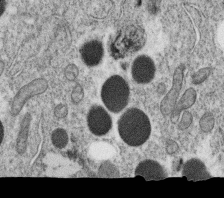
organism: C. elegans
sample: C. elegans oocyte; sperm cells